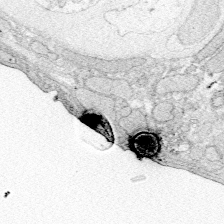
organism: Zebrafish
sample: Whole-Brain